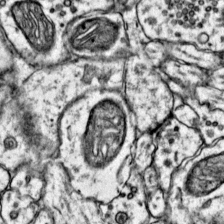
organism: Mouse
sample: Primary visual cortex